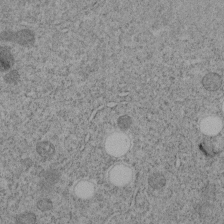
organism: C. elegans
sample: C. elegans embryo early stage